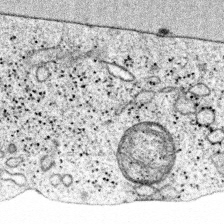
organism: Human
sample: HeLa cells